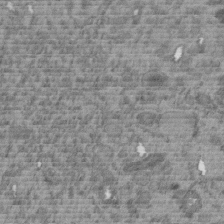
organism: C. elegans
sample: C. elegans embryo early stage